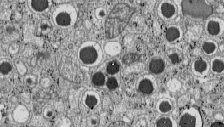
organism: C57BL Mouse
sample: Pancreatic islet